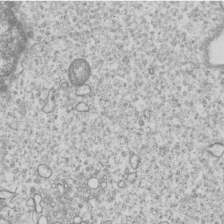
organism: Human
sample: MDA-MB-231 cells